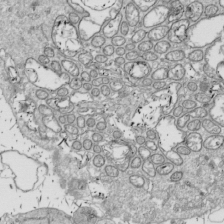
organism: Drosophila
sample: Cell division; meiosis; drosophila spermatocytes